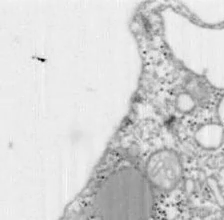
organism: Chlamydomonas reinhardtii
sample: Flagella